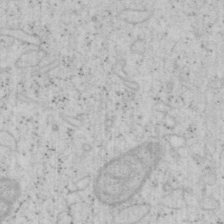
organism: Human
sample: HeLa cells